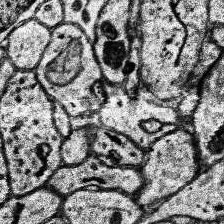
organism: Human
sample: Temporal Lobe